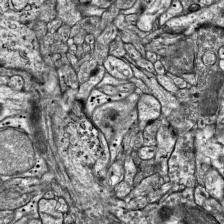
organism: Mouse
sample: Visual Cortex